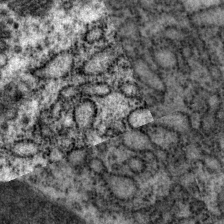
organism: P. pacificus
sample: Pharynx